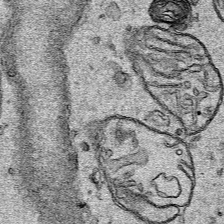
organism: Human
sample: Mitochondria in HCT116 cells